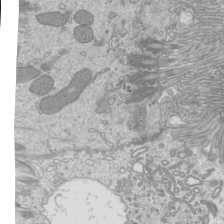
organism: Mouse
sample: Cilia; mouse epididymis